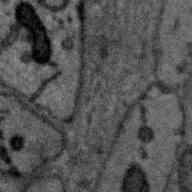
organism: Zebra finch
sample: Brain